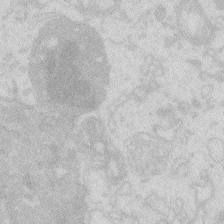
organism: Zebrafish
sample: Macrophage